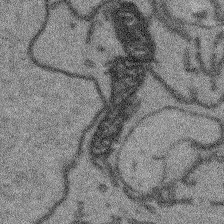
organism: Arabidopsis thaliana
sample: Root tip